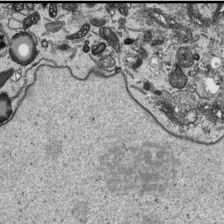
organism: Human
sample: Mitochondria in HCT116 cells